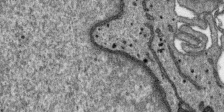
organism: Human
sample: Lung epithelial cells, uninfected (mock) control